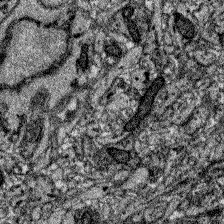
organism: Zebrafish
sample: Larval olfactory bulb